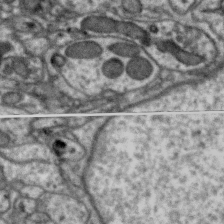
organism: Zebra finch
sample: Brain